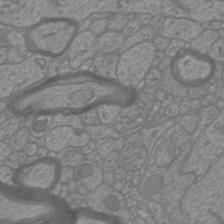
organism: Mouse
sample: Cortical neurons